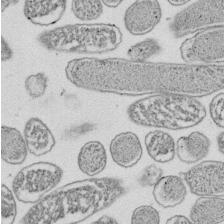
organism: E. coli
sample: Bacterial nucleoid